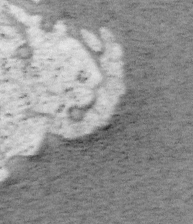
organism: Mouse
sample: OT-I killer T cells with ID8 ovarian cancer cells